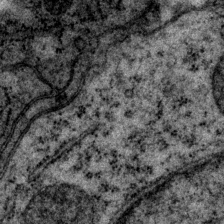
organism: P. pacificus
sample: Pharynx